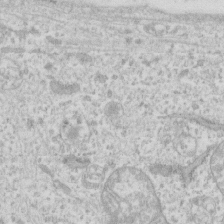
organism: Human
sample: Fibroblast cells